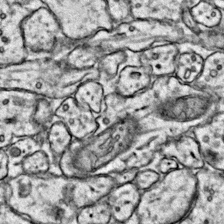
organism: Mouse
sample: Primary visual cortex